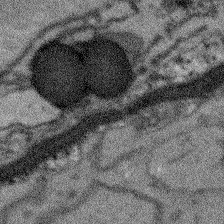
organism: Arabidopsis thaliana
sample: Root tip